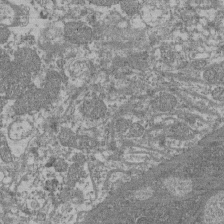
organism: Mouse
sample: Glomerulus